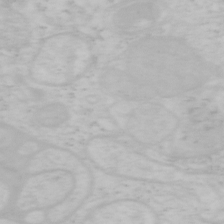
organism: Mouse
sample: OT-I killer T cells with ID8 ovarian cancer cells